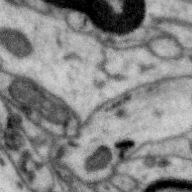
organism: Zebra finch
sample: Brain